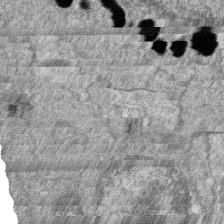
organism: Zebrafish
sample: Cilia; retinal pigment epithelium